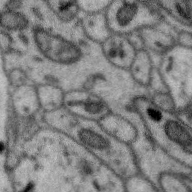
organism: Zebra finch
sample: Brain